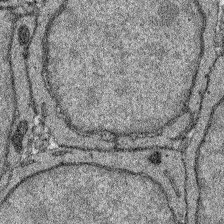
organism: Zebrafish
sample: Larval olfactory bulb